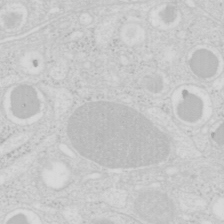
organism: Mouse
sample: Pancreas